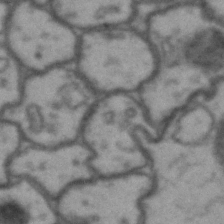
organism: Drosophila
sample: Brain